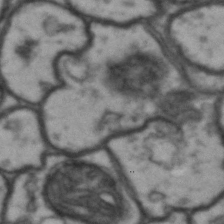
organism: Drosophila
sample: Brain